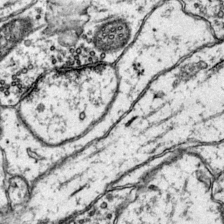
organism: Mouse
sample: Primary visual cortex